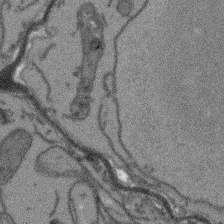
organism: Arabidopsis thaliana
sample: Root tip